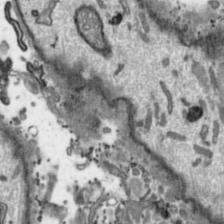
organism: Toxoplasma gondii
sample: Parasites in a vacuole inside a host cell